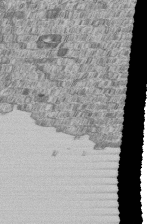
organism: Human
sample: MDA-MB-231 cells